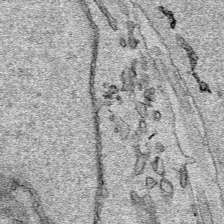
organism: Human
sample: Mitochondria in HCT116 cells